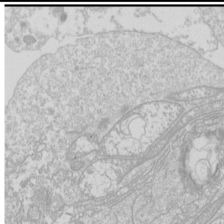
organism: Drosophila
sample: Cell division; meiosis; drosophila spermatocytes